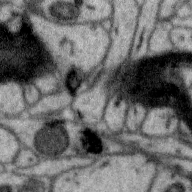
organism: Zebra finch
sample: Brain